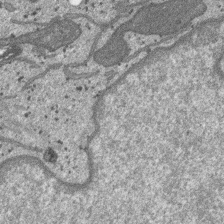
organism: Human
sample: Lung epithelial cells infected with SARS-CoV-2